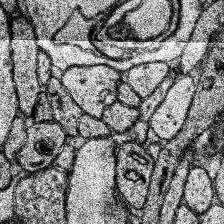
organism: Human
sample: Temporal Lobe